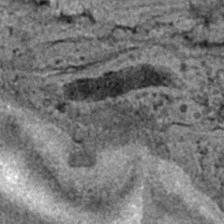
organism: C. elegans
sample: C. elegans embryo